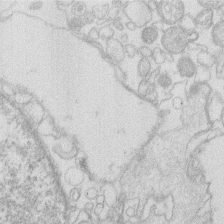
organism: Human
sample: Macrophage cells